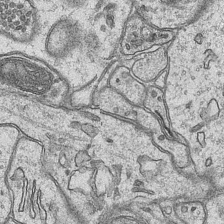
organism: Mouse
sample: CA1 Hippocampus